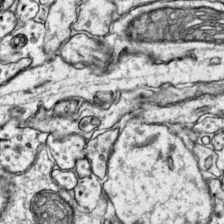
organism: Mouse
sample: Primary visual cortex